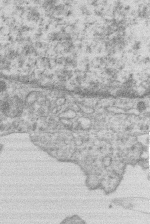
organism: Human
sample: Macrophage cells